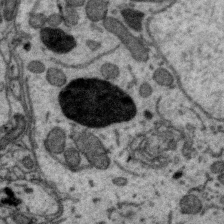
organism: Zebra finch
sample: Brain